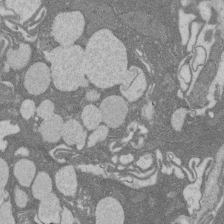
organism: Rat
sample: Salivary granule